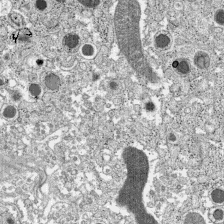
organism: C57BL Mouse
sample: Pancreatic islet